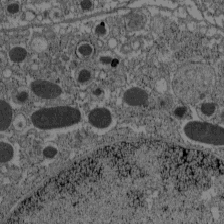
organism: C57BL Mouse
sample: Pancreatic islet